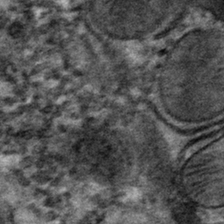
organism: Mouse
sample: Mouse hepatocytes